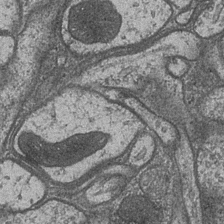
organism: Drosophila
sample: Optic medulla